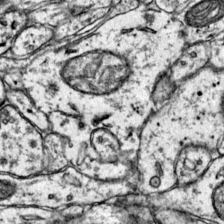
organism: Mouse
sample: Primary visual cortex